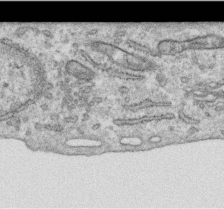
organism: Human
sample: Centriole in RPE cells